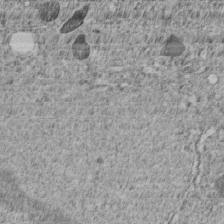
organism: C. elegans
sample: C. elegans embryo early stage